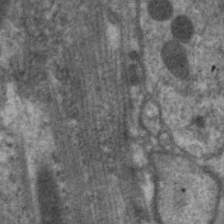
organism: C. elegans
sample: Pharynx